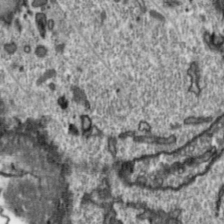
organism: Toxoplasma gondii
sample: Parasites in a vacuole inside a host cell